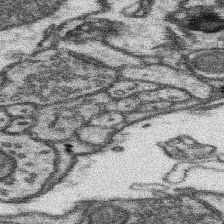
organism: Mouse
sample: Somatosensory cortex neuropil